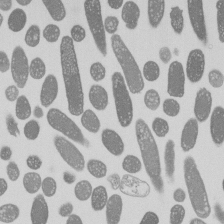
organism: E. coli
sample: Bacterial nucleoid